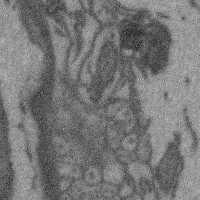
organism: Mouse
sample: Cerebral cortex